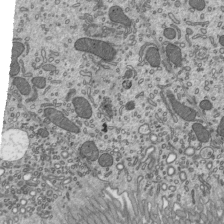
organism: Mouse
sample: Mouse epididymis efferent ductule cilia